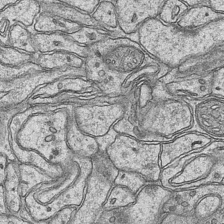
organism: Mouse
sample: CA1 Hippocampus